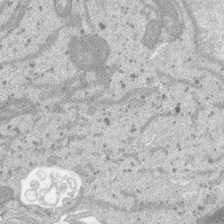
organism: Human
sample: Lung epithelial cells infected with SARS-CoV-2